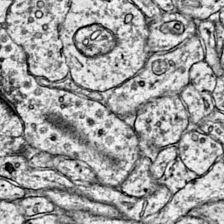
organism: Mouse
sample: Primary visual cortex